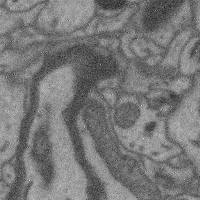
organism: Mouse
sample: Cerebral cortex